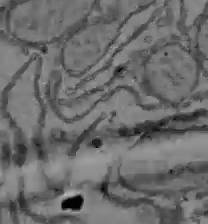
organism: C57BL Mouse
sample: Liver